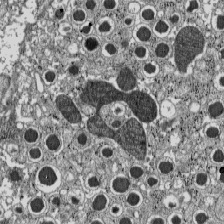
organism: C57BL Mouse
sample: Pancreatic islet